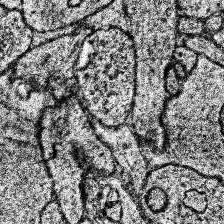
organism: Human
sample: Temporal Lobe